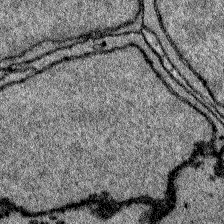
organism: Zebrafish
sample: Larval olfactory bulb